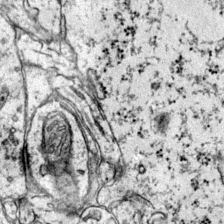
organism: Mouse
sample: Primary visual cortex